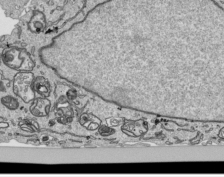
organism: Human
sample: Mitochondria in HCT116 cells